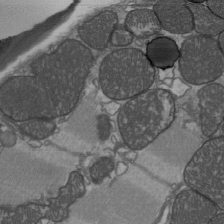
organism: C57BL Mouse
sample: Heart